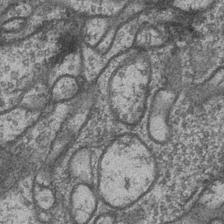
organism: Drosophila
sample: Optic medulla